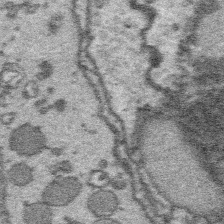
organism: Platynereis dumerilii